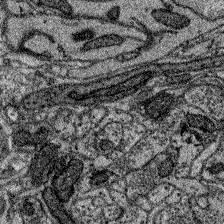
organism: Zebrafish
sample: Larval olfactory bulb